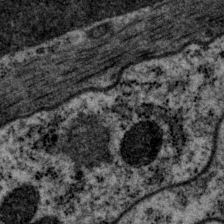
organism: P. pacificus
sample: Pharynx